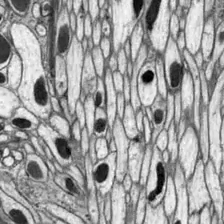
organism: Drosophila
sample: Optic lobe